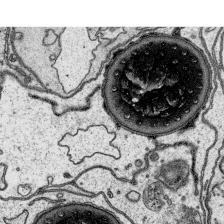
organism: Platynereis dumerilii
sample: Parapodia